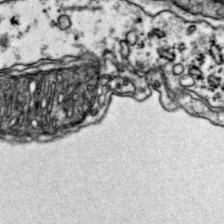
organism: Mouse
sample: Primary visual cortex